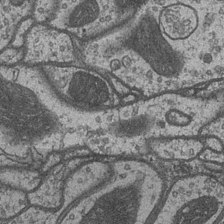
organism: Drosophila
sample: Optic medulla